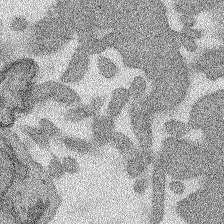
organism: Human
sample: HeLa cells